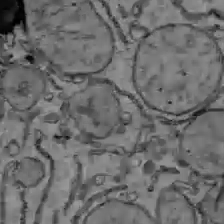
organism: C57BL Mouse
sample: Liver